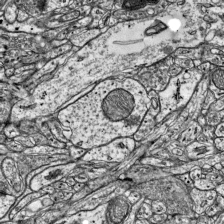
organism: Mouse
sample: Visual Cortex